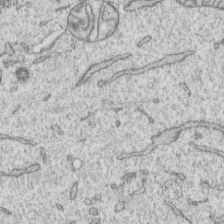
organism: Human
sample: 1205lu cells